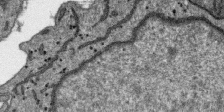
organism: Human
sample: Lung epithelial cells, uninfected (mock) control